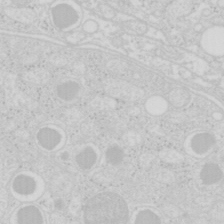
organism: Mouse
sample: Pancreas